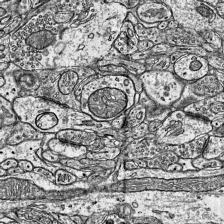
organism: Mouse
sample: Visual Cortex